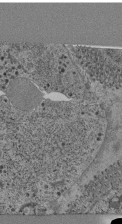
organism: C. elegans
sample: C. elegans pharynx